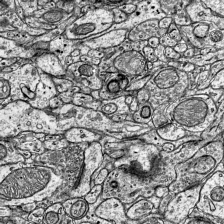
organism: Mouse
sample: Visual Cortex